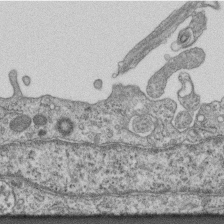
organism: Mouse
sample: Centriole in ependymal cells